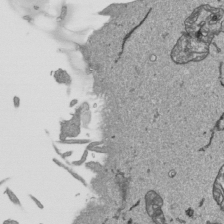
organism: Human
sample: Mitochondria in HCT116 cells